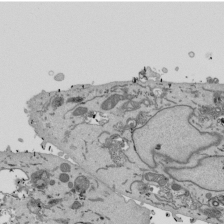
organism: Mouse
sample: ED-1 cell nuclei; centrioles